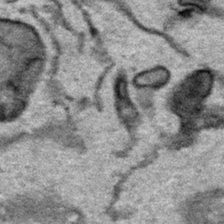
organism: Human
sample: Mitochondria in HCT116 cells